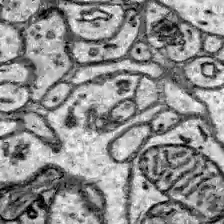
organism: Zebrafish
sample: Brain